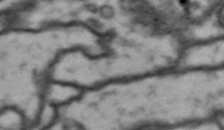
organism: Drosophila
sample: Brain